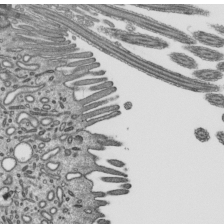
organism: Mouse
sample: Mouse epididymis efferent ductule cilia